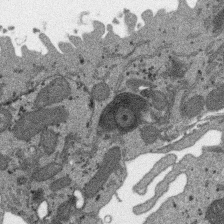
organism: Human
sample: Lung epithelial cells infected with SARS-CoV-2